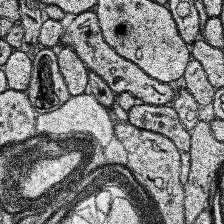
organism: Human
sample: Temporal Lobe